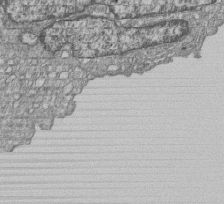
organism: Human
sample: MDA-MB-231 cells